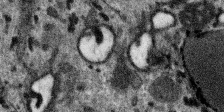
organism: Human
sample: Lung epithelial cells infected with SARS-CoV-2